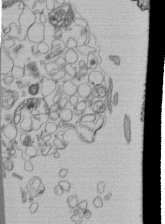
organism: Human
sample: Retinal organoid Rod and Cone cells